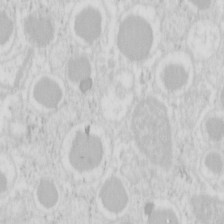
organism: Mouse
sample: Pancreas